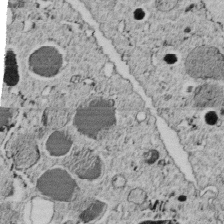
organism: C. elegans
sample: C. elegans embryo early stage